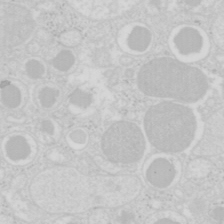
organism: Mouse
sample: Pancreas